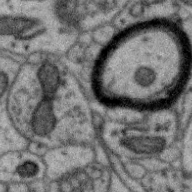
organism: Zebra finch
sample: Brain